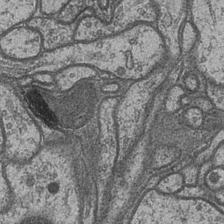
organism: Drosophila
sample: Optic medulla